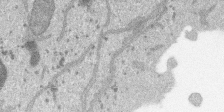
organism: Human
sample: Lung epithelial cells infected with SARS-CoV-2